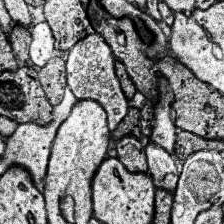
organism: Human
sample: Temporal Lobe